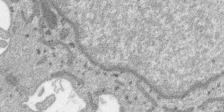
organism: Human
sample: Lung epithelial cells infected with SARS-CoV-2